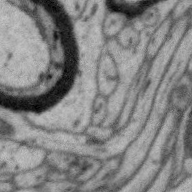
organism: Zebra finch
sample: Brain